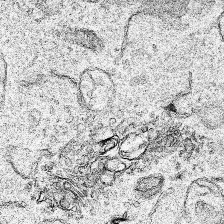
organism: Human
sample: Mitochondria in HCT116 cells